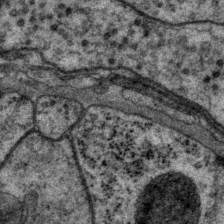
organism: P. pacificus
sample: Pharynx